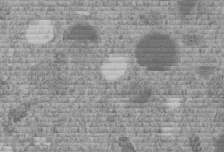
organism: C. elegans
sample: C. elegans embryo early stage